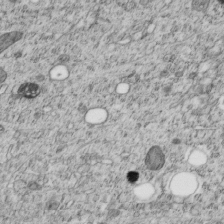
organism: C. elegans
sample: C. elegans embryo early stage